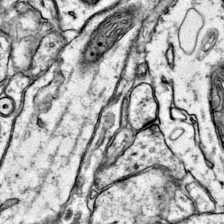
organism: Mouse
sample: Primary visual cortex